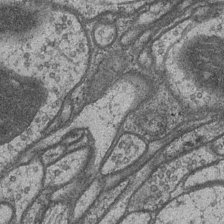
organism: Drosophila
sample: Optic medulla